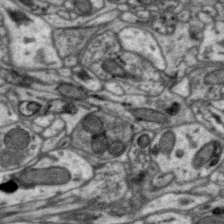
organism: Zebra finch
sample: Brain